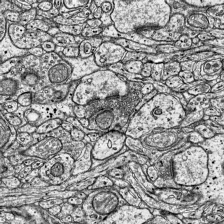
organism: Mouse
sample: Visual Cortex